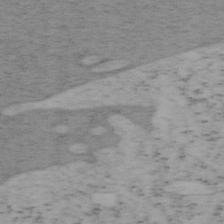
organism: Mouse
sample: OT-I killer T cells with ID8 ovarian cancer cells